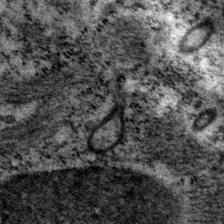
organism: P. pacificus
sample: Pharynx